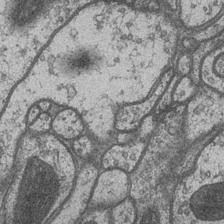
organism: Drosophila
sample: Optic medulla